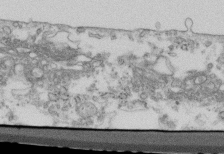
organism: Mouse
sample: Cilia; retinal pigment epithelium